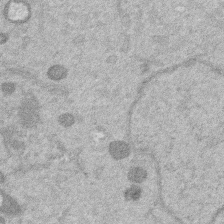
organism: Mouse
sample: Dividing mouse embryo 1 cell stage